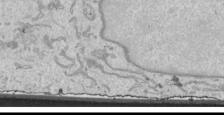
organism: Human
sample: Mitochondria in HCT116 cells